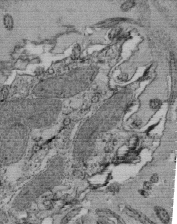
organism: Tetrahymena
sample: Cilia in tetrahymena